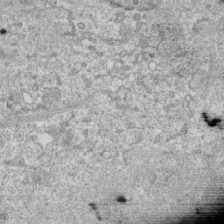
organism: Mouse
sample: Activated OT-1 CD8+ T cells